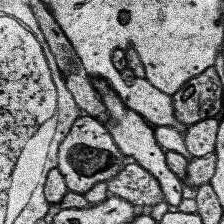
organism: Human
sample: Temporal Lobe